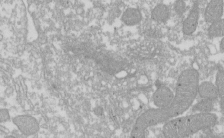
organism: Xenopus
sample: Cilia; centrioles in frog embryo cells